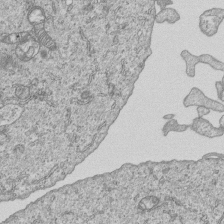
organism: Human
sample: MDA-MB-231 cells